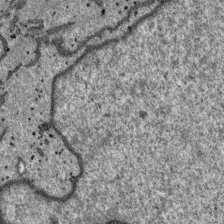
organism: Human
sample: Lung epithelial cells, uninfected (mock) control